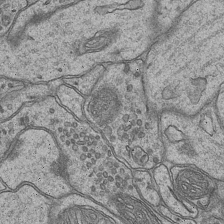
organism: Mouse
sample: CA1 Hippocampus